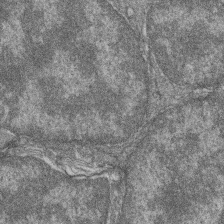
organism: Zebrafish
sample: Cilia; retinal pigment epithelium